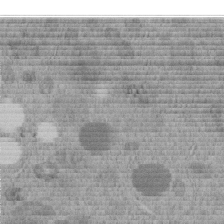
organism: C. elegans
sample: C. elegans embryo early stage